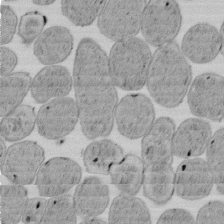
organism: E. coli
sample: Bacterial nucleoid